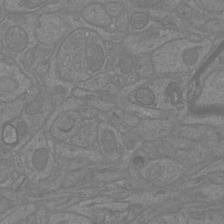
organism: Mouse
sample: Cortical neurons